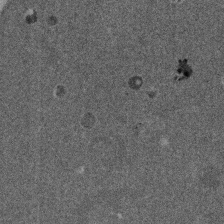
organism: Mouse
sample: Dividing mouse embryo 1 cell stage